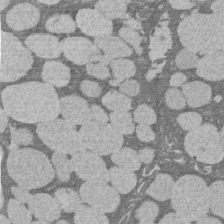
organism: Rat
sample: Salivary granule